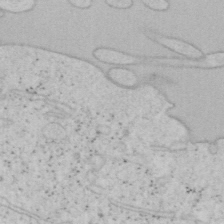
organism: Human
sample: HeLa cells